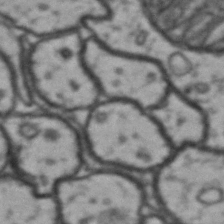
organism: Drosophila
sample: Brain